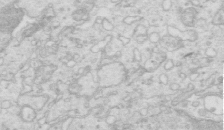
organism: Mouse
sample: Multiciliated cells